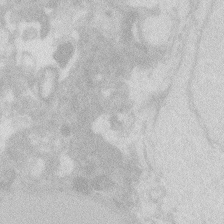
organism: Zebrafish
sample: Macrophage